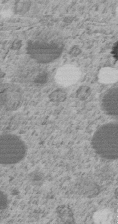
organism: C. elegans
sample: C. elegans embryo early stage